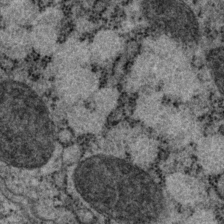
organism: P. pacificus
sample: Pharynx